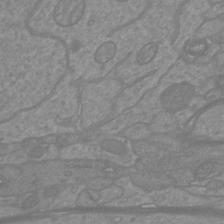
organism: Mouse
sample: Cortical neurons